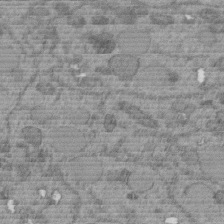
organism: C. elegans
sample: C. elegans embryo early stage